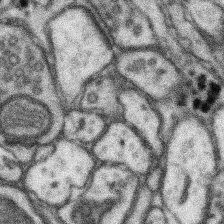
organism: Mouse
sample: Somatosensory cortex neuropil